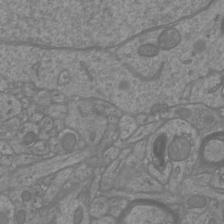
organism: Mouse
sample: Cortical neurons